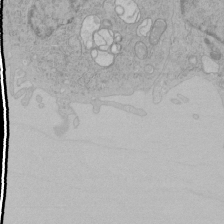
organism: Human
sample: Mitochondria in HCT116 cells